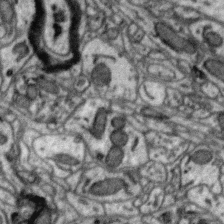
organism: Zebra finch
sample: Brain